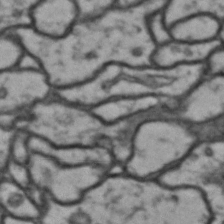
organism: Drosophila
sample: Brain